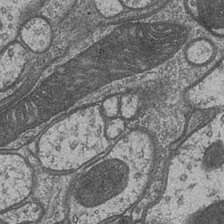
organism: Drosophila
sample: Optic medulla